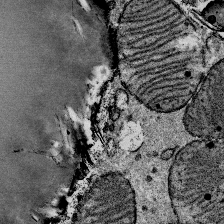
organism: Mouse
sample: Mouse Salivary gland